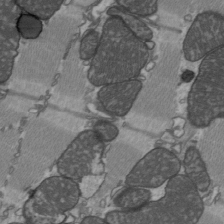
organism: C57BL Mouse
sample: Heart